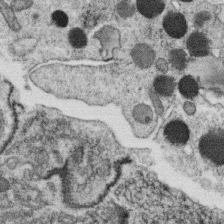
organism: C. elegans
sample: C. elegans oocyte; sperm cells